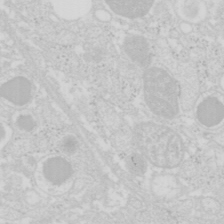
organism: Mouse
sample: Pancreas